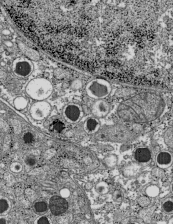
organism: C57BL Mouse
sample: Pancreatic islet